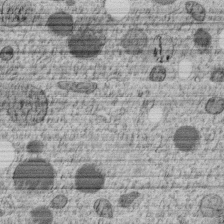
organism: C. elegans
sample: C. elegans embryo early stage